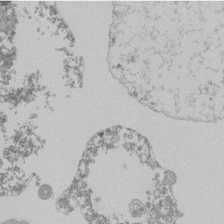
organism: Mouse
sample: Activated Pmel transgenic CD8+ T Cells